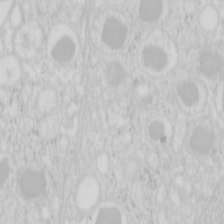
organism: Mouse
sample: Pancreas